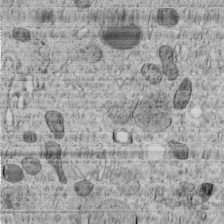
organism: C. elegans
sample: C. elegans embryo early stage